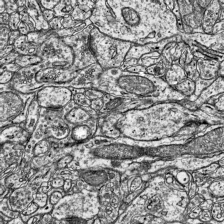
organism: Mouse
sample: Visual Cortex